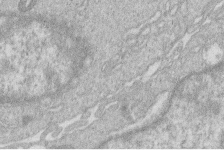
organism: Human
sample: Macrophage cells